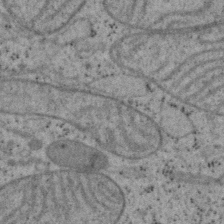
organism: Human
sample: HeLa cells